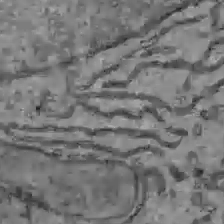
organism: C57BL Mouse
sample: Liver